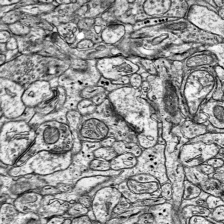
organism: Mouse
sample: Visual Cortex